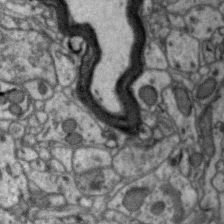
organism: Zebra finch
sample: Brain